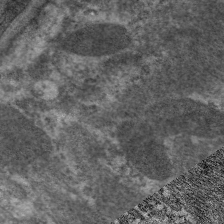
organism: C. elegans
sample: Pharynx